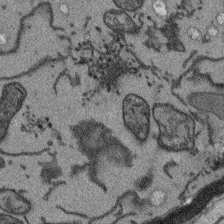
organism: Arabidopsis thaliana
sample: Root tip